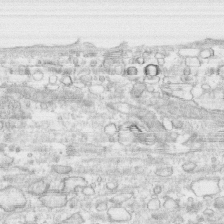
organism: Human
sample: CRL-1474